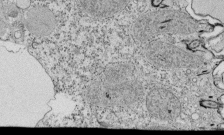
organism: Tetrahymena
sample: Cilia in tetrahymena